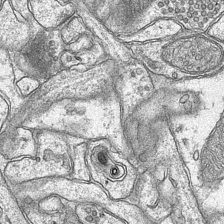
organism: Mouse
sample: CA1 Hippocampus